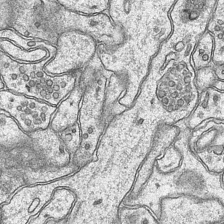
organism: Mouse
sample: CA1 Hippocampus